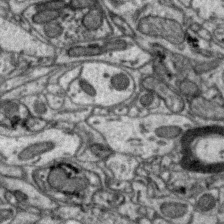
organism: Zebra finch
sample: Brain